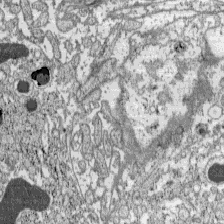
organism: C57BL Mouse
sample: Pancreatic islet